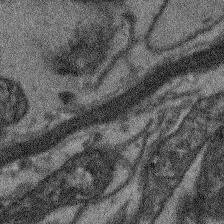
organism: Arabidopsis thaliana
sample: Root tip